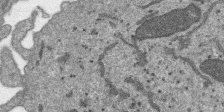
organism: Human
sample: Lung epithelial cells infected with SARS-CoV-2